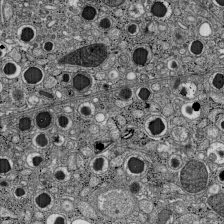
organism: C57BL Mouse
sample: Pancreatic islet